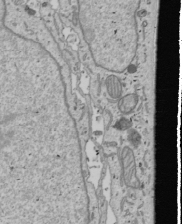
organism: Human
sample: Mitochondria in U2OS cells